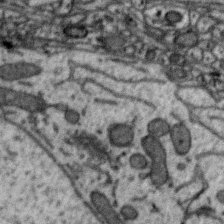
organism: Zebra finch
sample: Brain